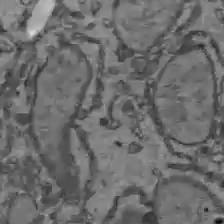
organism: C57BL Mouse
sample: Liver